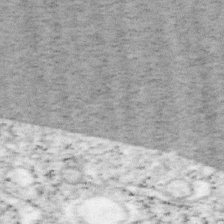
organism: Mouse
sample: OT-I killer T cells with ID8 ovarian cancer cells